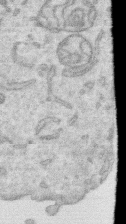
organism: Human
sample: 1205lu cells